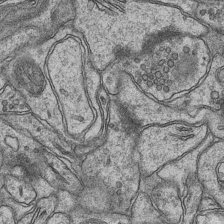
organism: Mouse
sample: CA1 Hippocampus